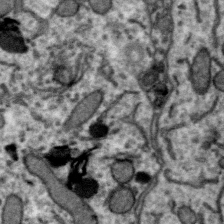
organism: Zebra finch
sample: Brain